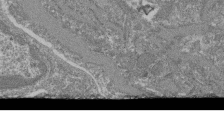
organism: Mouse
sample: Glomerulus